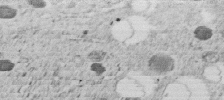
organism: C. elegans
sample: C. elegans embryo early stage